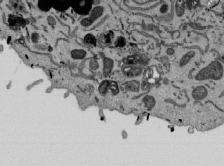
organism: Mouse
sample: ED-1 cell nuclei; centrioles